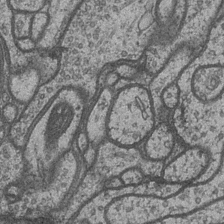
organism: Drosophila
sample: Optic medulla